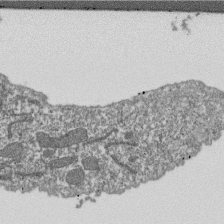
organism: Dictyostelium discoideum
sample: Dictyostelium multivesicular bodies